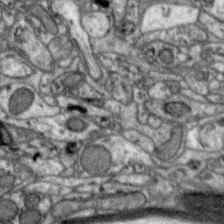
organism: Zebra finch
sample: Brain